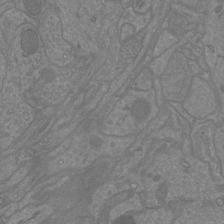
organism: Mouse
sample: Cortical neurons